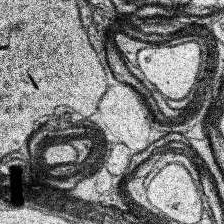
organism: Human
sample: Temporal Lobe